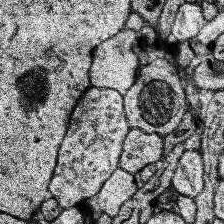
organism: Human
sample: Temporal Lobe